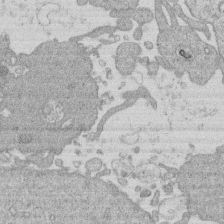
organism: Human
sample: Macrophage cells